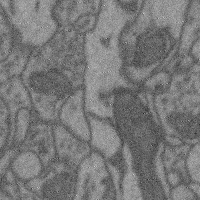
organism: Mouse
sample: Cerebral cortex